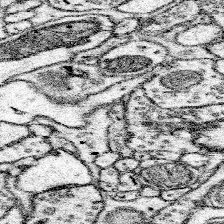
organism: Mouse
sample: Somatosensory cortex neuropil